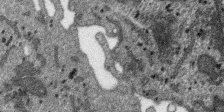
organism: Human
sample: Lung epithelial cells infected with SARS-CoV-2